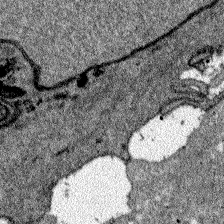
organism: Zebrafish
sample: Larval olfactory bulb